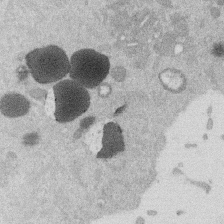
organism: Mouse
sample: Dividing mouse embryo 1 cell stage